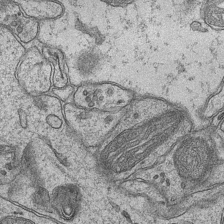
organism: Mouse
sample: CA1 Hippocampus